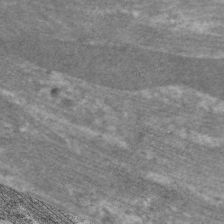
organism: C. elegans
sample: Pharynx